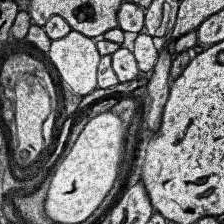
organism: Human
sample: Temporal Lobe